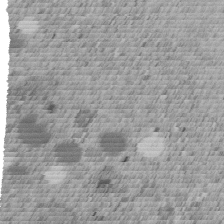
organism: C. elegans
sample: C. elegans embryo early stage